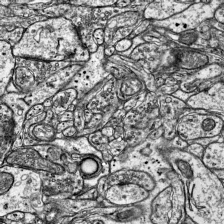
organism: Mouse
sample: Visual Cortex